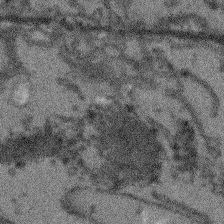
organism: Arabidopsis thaliana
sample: Root tip